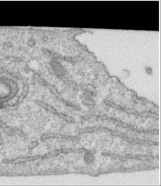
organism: Human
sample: Centriole in RPE cells